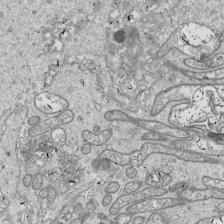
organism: Drosophila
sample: Cell division; meiosis; drosophila spermatocytes